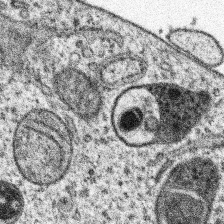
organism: Human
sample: HeLa cells